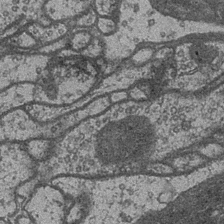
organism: Drosophila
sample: Optic medulla